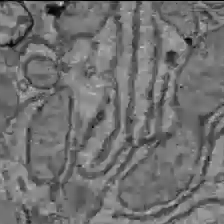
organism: C57BL Mouse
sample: Liver